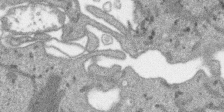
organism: Human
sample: Lung epithelial cells infected with SARS-CoV-2